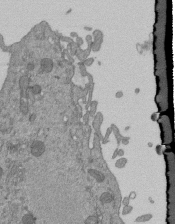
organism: Mouse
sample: ED-1 cell nuclei; centrioles